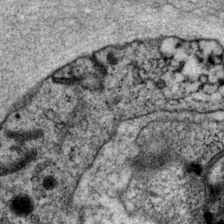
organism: P. pacificus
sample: Pharynx